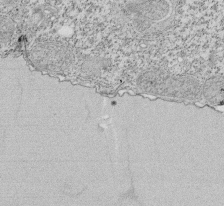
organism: Tetrahymena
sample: Cilia in tetrahymena